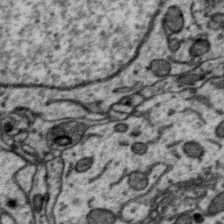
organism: Zebra finch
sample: Brain